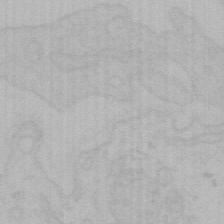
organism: Mouse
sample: Choroid plexus